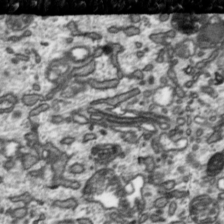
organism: Toxoplasma gondii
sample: Parasites in a vacuole inside a host cell